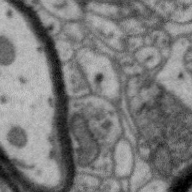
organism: Zebra finch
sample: Brain